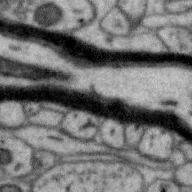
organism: Zebra finch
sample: Brain